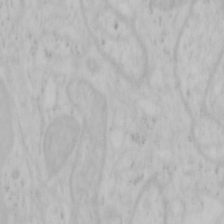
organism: Mouse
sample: OT-I killer T cells with ID8 ovarian cancer cells